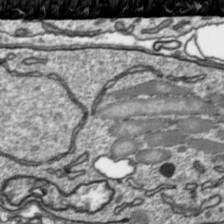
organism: Toxoplasma gondii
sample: Parasites in a vacuole inside a host cell